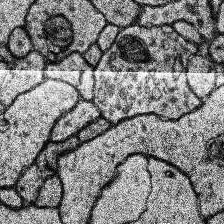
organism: Human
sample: Temporal Lobe